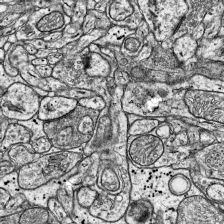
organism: Mouse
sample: Visual Cortex